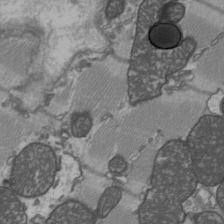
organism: C57BL Mouse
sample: Heart